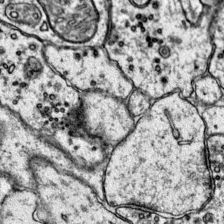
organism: Mouse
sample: Primary visual cortex